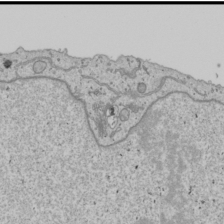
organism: Human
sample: Mitochondria in U2OS cells